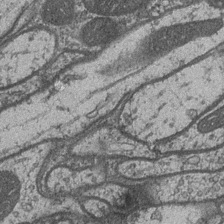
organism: Drosophila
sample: Optic medulla